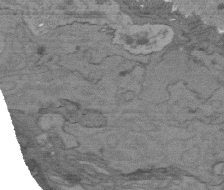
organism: C. elegans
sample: AFD neurons C. elegans